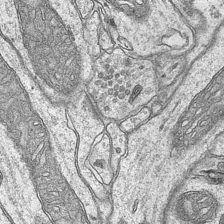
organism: Mouse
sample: CA1 Hippocampus